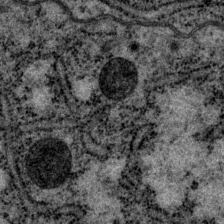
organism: P. pacificus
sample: Pharynx